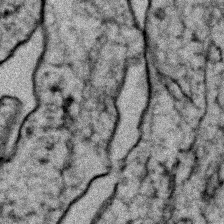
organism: Zebrafish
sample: Zebrafish embryo